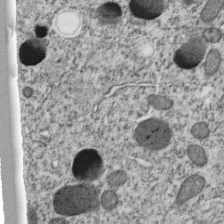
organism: C. elegans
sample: C. elegans embryo early stage